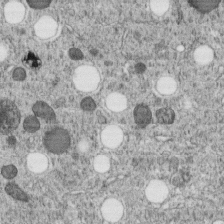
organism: C. elegans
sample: C. elegans embryo early stage